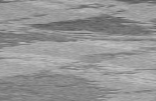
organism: C57BL Mouse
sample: Heart